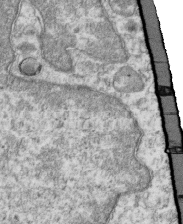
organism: Mouse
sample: Activated OT-1 CD8+ T cells